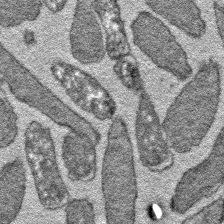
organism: E. coli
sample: E. Coli Bacteria